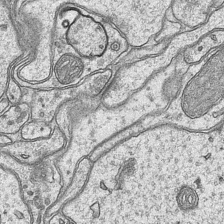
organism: Mouse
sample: CA1 Hippocampus